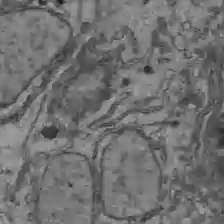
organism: C57BL Mouse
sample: Liver